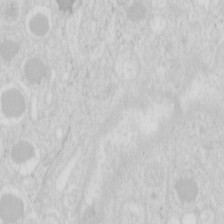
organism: Mouse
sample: Pancreas